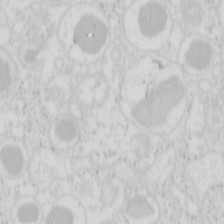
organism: Mouse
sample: Pancreas